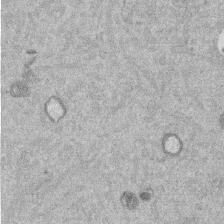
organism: Mouse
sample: Dividing mouse embryo 1 cell stage